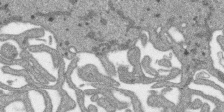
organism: Human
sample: Lung epithelial cells infected with SARS-CoV-2